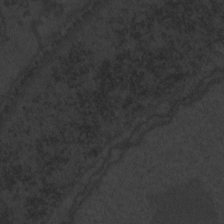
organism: Zebrafish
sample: Macrophage infected with Toxoplasma gondii